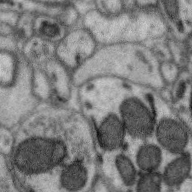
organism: Zebra finch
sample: Brain